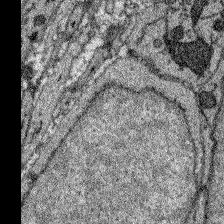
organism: Zebrafish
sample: Larval olfactory bulb